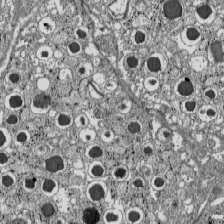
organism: C57BL Mouse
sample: Pancreatic islet